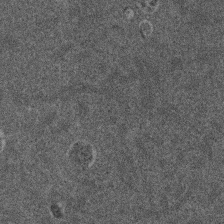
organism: Mouse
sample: Dividing mouse embryo 1 cell stage